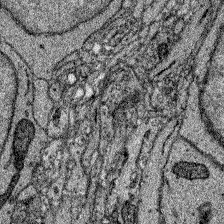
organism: Zebrafish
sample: Larval olfactory bulb